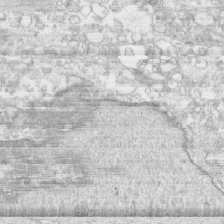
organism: Human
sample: CRL-1474